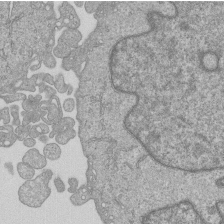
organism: Human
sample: MDA-MB-231 cells